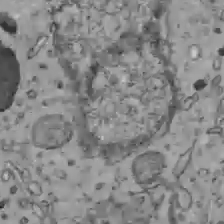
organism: C57BL Mouse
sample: Liver